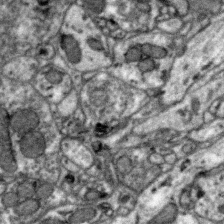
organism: Zebra finch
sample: Brain